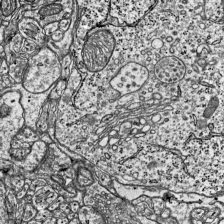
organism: Mouse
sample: Visual Cortex